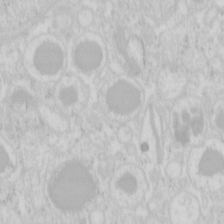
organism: Mouse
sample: Pancreas